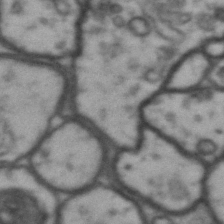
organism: Drosophila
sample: Brain